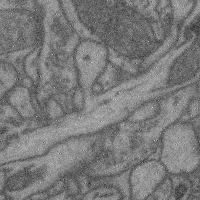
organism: Mouse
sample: Cerebral cortex